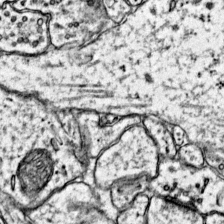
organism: Mouse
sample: Primary visual cortex